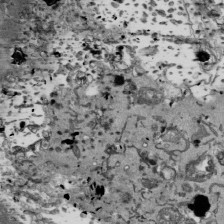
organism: Mouse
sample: ED-1 cell nuclei; centrioles